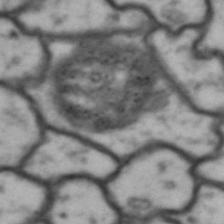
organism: Drosophila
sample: Brain